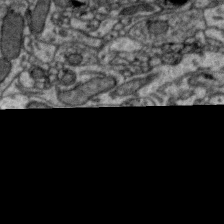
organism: Zebra finch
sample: Brain